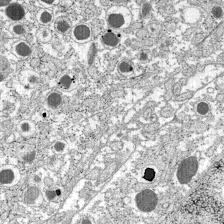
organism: C57BL Mouse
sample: Pancreatic islet